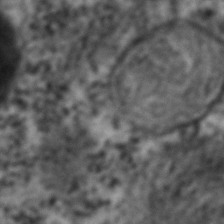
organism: C. elegans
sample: C. elegans embryo